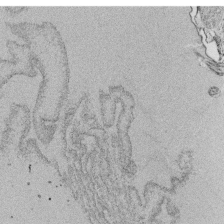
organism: Tetrahymena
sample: Cilia in tetrahymena